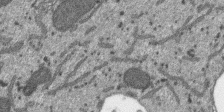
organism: Human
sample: Lung epithelial cells infected with SARS-CoV-2